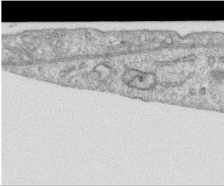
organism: Human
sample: Centriole in RPE cells